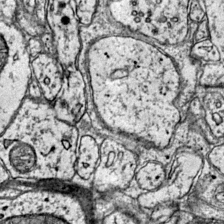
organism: Mouse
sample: Primary visual cortex